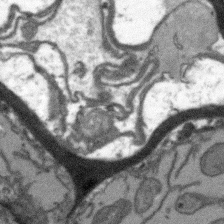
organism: Arabidopsis thaliana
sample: Root tip